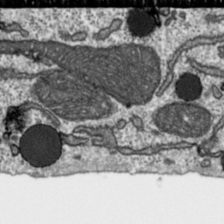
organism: Toxoplasma gondii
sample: Parasites in a vacuole inside a host cell